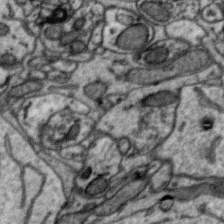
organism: Zebra finch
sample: Brain